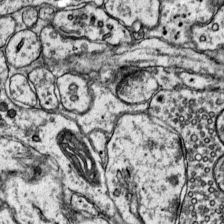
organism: Mouse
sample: Primary visual cortex